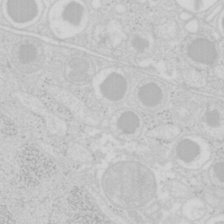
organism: Mouse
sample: Pancreas